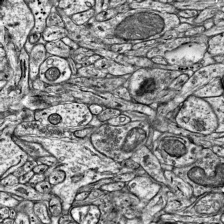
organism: Mouse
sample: Visual Cortex